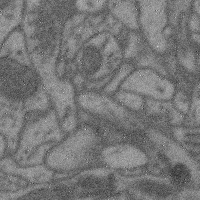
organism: Mouse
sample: Cerebral cortex